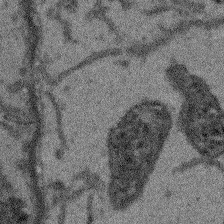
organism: Arabidopsis thaliana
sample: Root tip